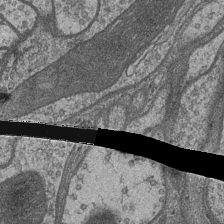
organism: Drosophila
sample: Optic medulla